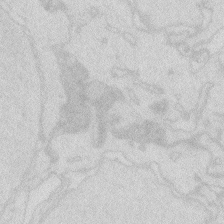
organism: Zebrafish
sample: Macrophage